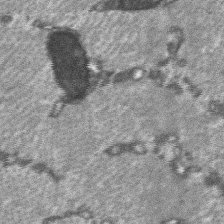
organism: C57BL Mouse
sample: Soleus